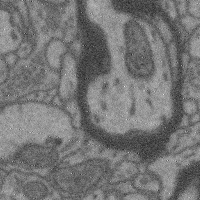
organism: Mouse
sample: Cerebral cortex